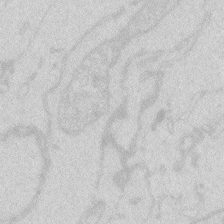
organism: Zebrafish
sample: Macrophage